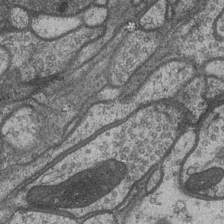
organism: Drosophila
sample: Optic medulla